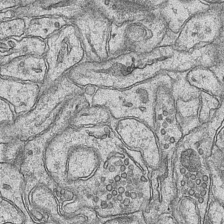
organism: Mouse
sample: CA1 Hippocampus